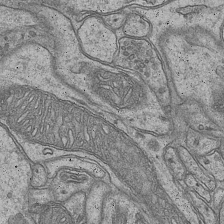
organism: Mouse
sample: CA1 Hippocampus